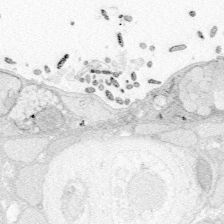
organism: Zebrafish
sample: Whole-Brain